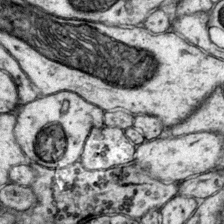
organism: Mouse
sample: Primary visual cortex